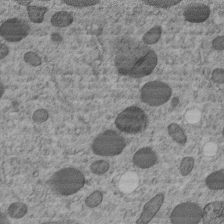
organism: C. elegans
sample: C. elegans embryo early stage